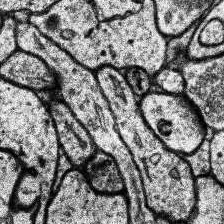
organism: Human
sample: Temporal Lobe